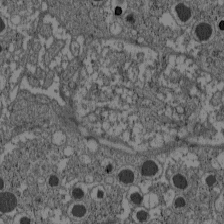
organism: C57BL Mouse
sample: Pancreatic islet